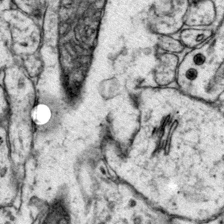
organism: Mouse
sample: Primary visual cortex